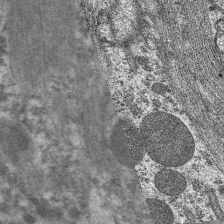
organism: C. elegans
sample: Pharynx